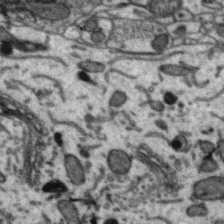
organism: Zebra finch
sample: Brain